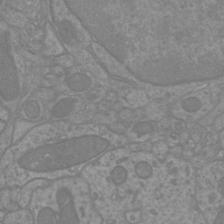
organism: Mouse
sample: Cortical neurons